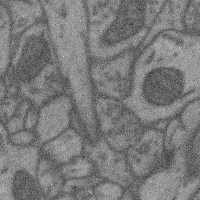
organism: Mouse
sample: Cerebral cortex